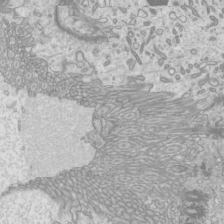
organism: Mouse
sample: Cilia; mouse epididymis